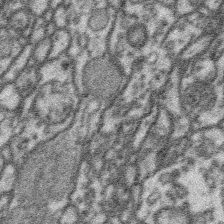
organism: Platynereis dumerilii